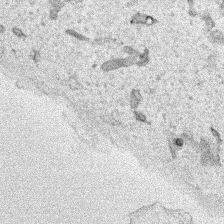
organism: Human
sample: Mitochondria in HCT116 cells